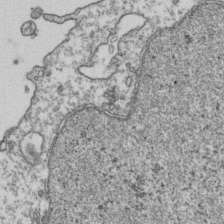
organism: Human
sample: Activated Jurkat CD4+ T cells